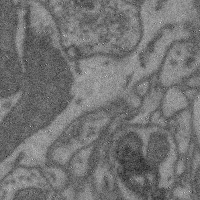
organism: Mouse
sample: Cerebral cortex